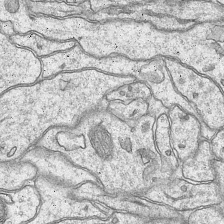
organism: Mouse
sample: CA1 Hippocampus